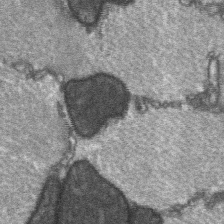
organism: C57BL Mouse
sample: Soleus